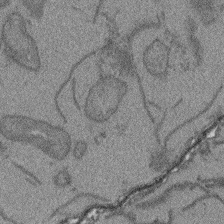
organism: Arabidopsis thaliana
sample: Root tip